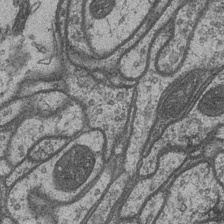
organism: Drosophila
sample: Optic medulla